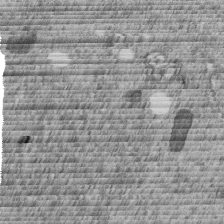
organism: C. elegans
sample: C. elegans embryo early stage